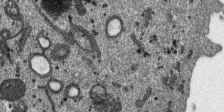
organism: Human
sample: Lung epithelial cells infected with SARS-CoV-2